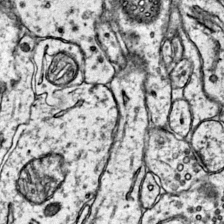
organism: Mouse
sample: Primary visual cortex